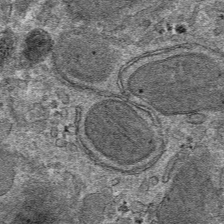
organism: Mouse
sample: Mouse hepatocytes